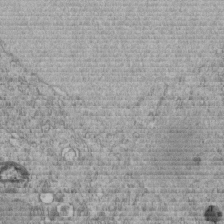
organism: C. elegans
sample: C. elegans embryo early stage